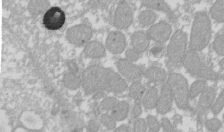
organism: Xenopus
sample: Cilia; centrioles in frog embryo cells